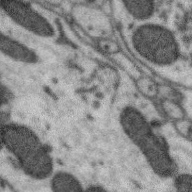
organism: Zebra finch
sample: Brain